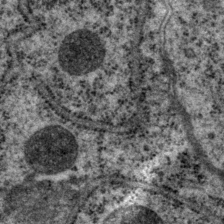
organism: P. pacificus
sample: Pharynx